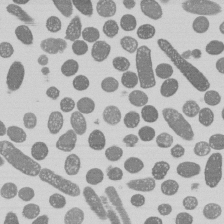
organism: E. coli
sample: Bacterial nucleoid